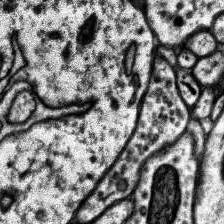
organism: Human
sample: Temporal Lobe